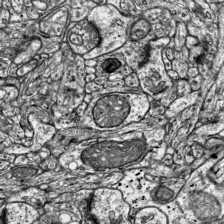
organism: Mouse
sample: Visual Cortex